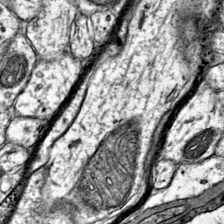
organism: Mouse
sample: Primary visual cortex